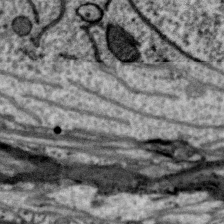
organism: Zebra finch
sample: Brain